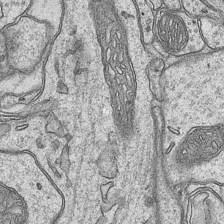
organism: Mouse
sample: CA1 Hippocampus